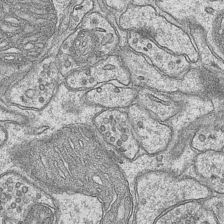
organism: Mouse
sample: CA1 Hippocampus